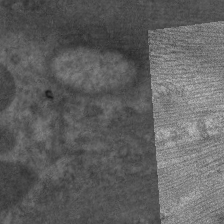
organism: C. elegans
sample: Pharynx